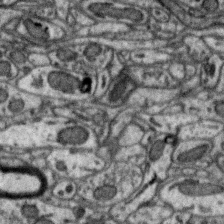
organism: Zebra finch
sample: Brain